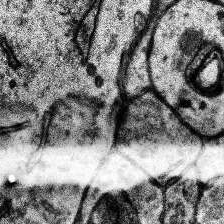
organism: Human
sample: Temporal Lobe